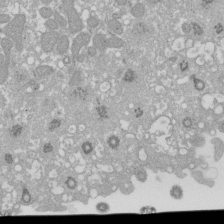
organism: Xenopus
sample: Cilia; centrioles in frog embryo cells